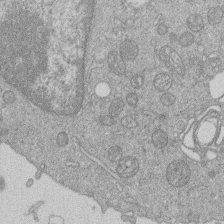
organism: Human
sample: Macrophage cells